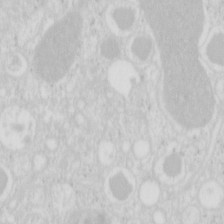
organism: Mouse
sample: Pancreas